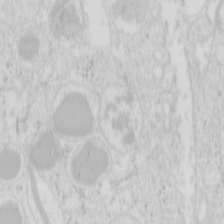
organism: Mouse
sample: Pancreas